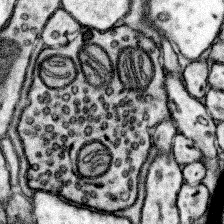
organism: Mouse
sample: Somatosensory cortex neuropil